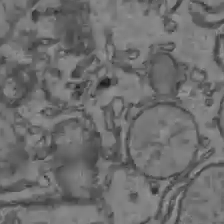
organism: C57BL Mouse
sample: Liver